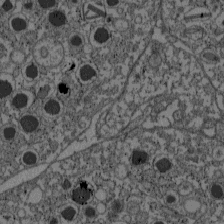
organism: C57BL Mouse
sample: Pancreatic islet